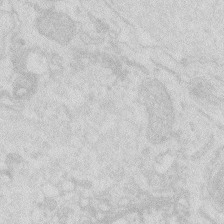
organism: Zebrafish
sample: Macrophage